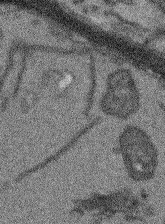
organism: Arabidopsis thaliana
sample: Root tip